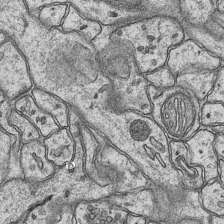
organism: Mouse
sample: CA1 Hippocampus